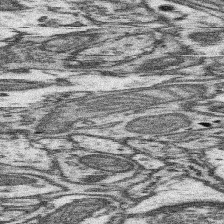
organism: Mouse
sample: Somatosensory cortex neuropil